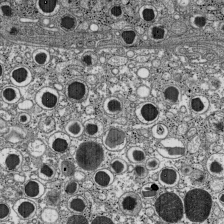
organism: C57BL Mouse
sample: Pancreatic islet